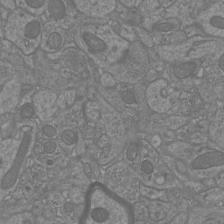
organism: Mouse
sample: Cortical neurons